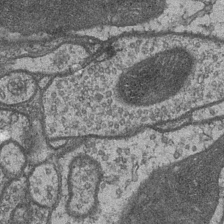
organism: Drosophila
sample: Optic medulla